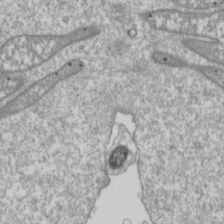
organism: Drosophila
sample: Cell division; meiosis; drosophila spermatocytes